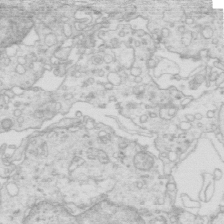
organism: Mouse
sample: Multiciliated cells